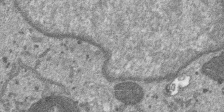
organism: Human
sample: Lung epithelial cells infected with SARS-CoV-2